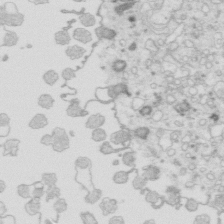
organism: Mouse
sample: Multiciliated cells